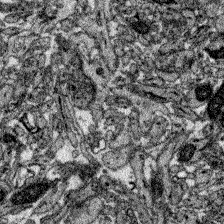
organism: Zebrafish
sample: Larval olfactory bulb